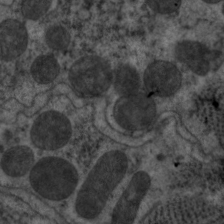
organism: C. elegans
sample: Pharynx